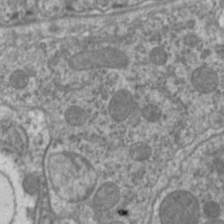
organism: C. elegans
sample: Pharynx